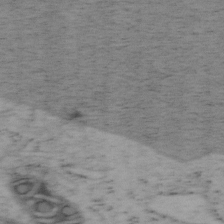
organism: Mouse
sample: OT-I killer T cells with ID8 ovarian cancer cells